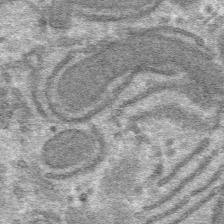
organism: Mouse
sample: Mouse hepatocytes